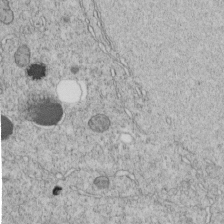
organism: C. elegans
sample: C. elegans embryo early stage